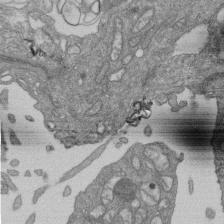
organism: Human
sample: Retinal organoid Rod and Cone cells